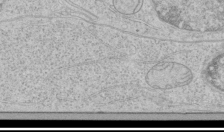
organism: Human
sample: Mitochondria in HCT116 cells